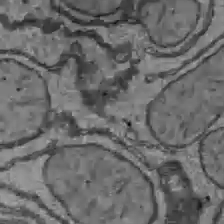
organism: C57BL Mouse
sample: Liver